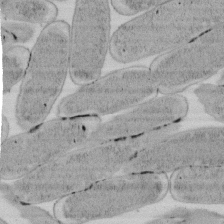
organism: E. coli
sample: Bacterial nucleoid